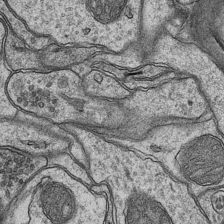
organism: Mouse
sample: CA1 Hippocampus